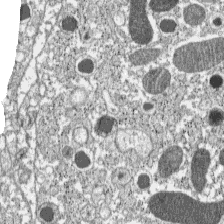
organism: C57BL Mouse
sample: Pancreatic islet